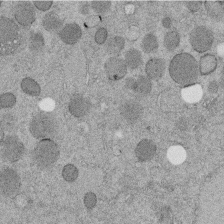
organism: C. elegans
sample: C. elegans embryo early stage